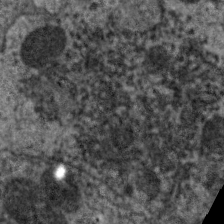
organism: C. elegans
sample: Pharynx